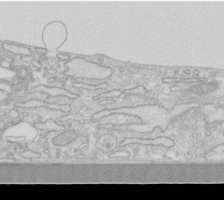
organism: Human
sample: Fibroblast cells